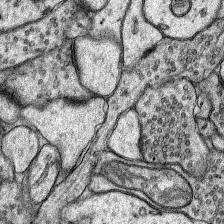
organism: Rat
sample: Hippocampus